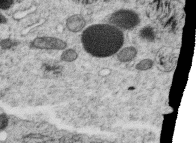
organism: C. elegans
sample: C. elegans oocyte; sperm cells